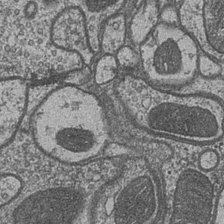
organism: Drosophila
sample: Optic medulla